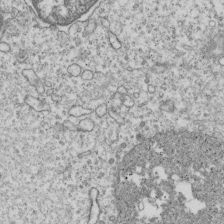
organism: Human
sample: MDA-MB-231 cells